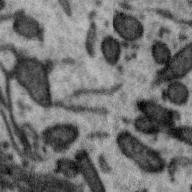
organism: Zebra finch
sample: Brain